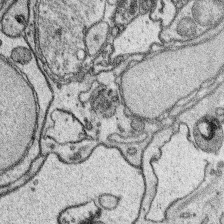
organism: Platynereis dumerilii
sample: Parapodia